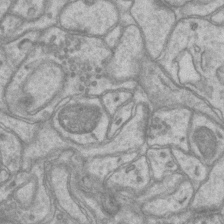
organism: Mouse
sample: CA1 Hippocampus